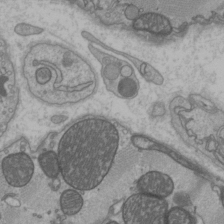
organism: C57BL Mouse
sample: Heart